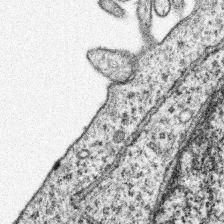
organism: Human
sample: HeLa cells